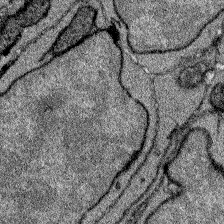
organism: Zebrafish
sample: Larval olfactory bulb